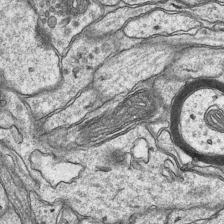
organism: Mouse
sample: CA1 Hippocampus